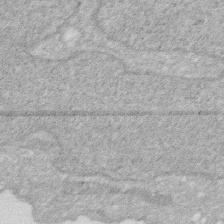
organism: Human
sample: HIV infected U937 cells